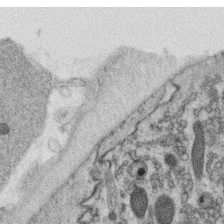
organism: C. elegans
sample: C. elegans oocyte; sperm cells